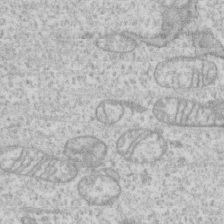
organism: Human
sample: CRL-1474